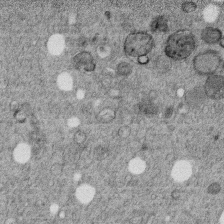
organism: C. elegans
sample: C. elegans embryo early stage